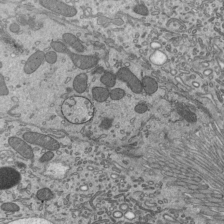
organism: Mouse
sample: Mouse epididymis efferent ductule cilia